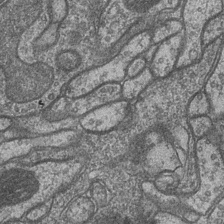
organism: Drosophila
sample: Optic medulla